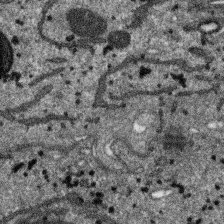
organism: Human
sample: Lung epithelial cells infected with SARS-CoV-2